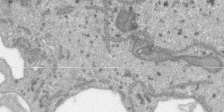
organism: Human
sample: Lung epithelial cells infected with SARS-CoV-2